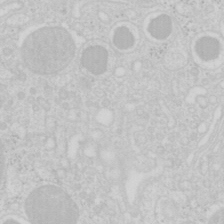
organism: Mouse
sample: Pancreas